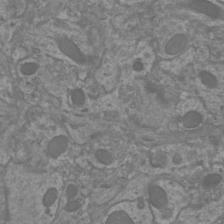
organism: Mouse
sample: Cortical neurons